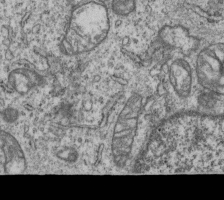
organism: Human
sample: MDA-MB-231 cells